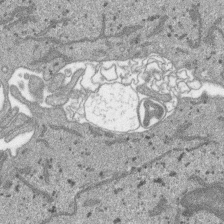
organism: Human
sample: Lung epithelial cells infected with SARS-CoV-2